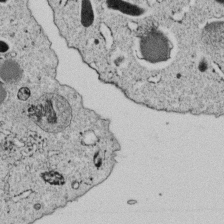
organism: C. elegans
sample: C. elegans embryo early stage